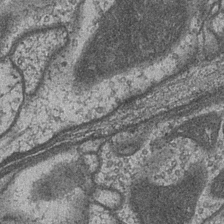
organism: Drosophila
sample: Optic medulla